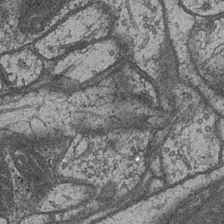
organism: Drosophila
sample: Optic medulla